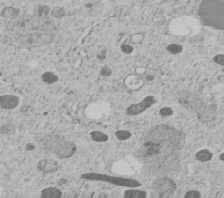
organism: C. elegans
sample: C. elegans embryo early stage